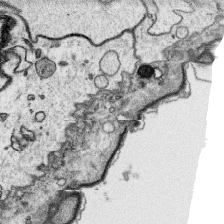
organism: Platynereis dumerilii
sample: Parapodia